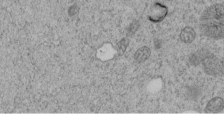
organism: C. elegans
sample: C. elegans embryo early stage